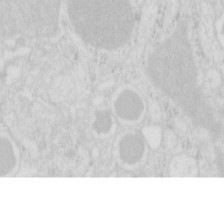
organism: Mouse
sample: Pancreas